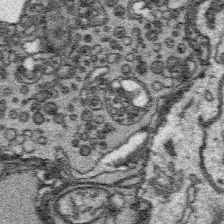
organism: Platynereis dumerilii